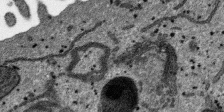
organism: Human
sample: Lung epithelial cells, uninfected (mock) control